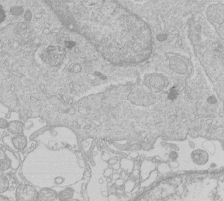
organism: Human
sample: Macrophage cells